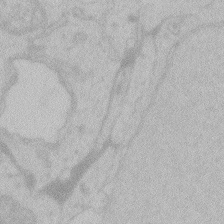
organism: Zebrafish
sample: Macrophage infected with Toxoplasma gondii